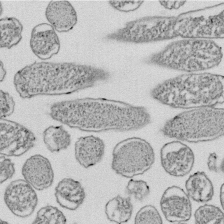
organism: E. coli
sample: Bacterial nucleoid